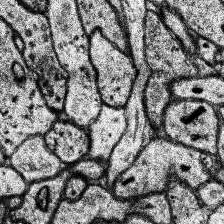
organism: Human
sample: Temporal Lobe